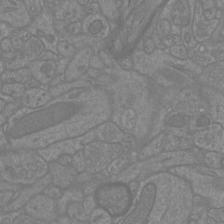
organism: Mouse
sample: Cortical neurons